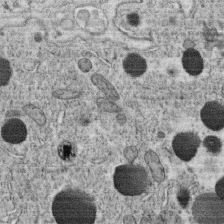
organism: C. elegans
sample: C. elegans oocyte; sperm cells